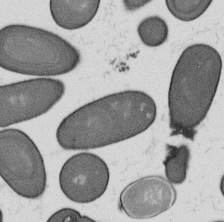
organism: B. subtilis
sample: Bacterial spore